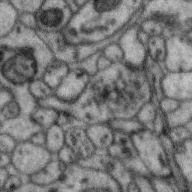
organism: Zebra finch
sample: Brain